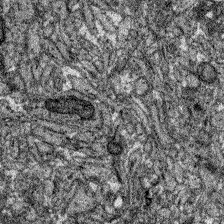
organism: Zebrafish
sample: Larval olfactory bulb